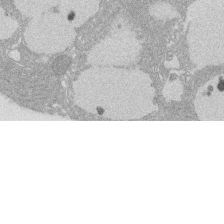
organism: Rat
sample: Salivary granule